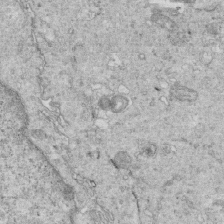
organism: Mouse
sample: Multiciliated cells